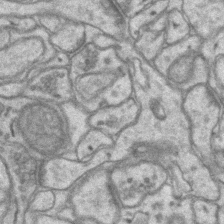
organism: Mouse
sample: CA1 Hippocampus